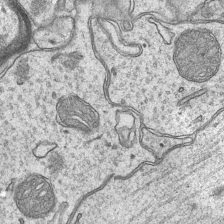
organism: Mouse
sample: CA1 Hippocampus